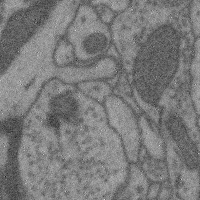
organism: Mouse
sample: Cerebral cortex